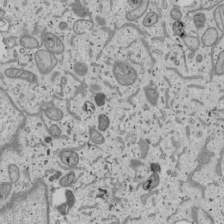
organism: Human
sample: Mitochondria in U2OS cells